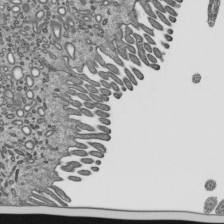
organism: Mouse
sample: Mouse epididymis efferent ductule cilia